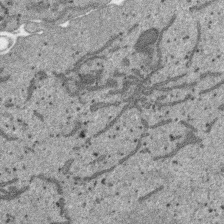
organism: Human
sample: Lung epithelial cells infected with SARS-CoV-2